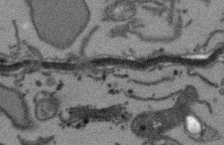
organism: Arabidopsis thaliana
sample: Root tip